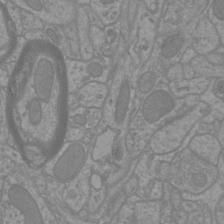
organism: Mouse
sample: Cortical neurons